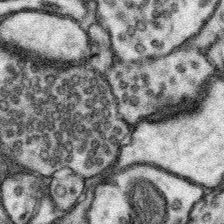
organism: Mouse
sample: Somatosensory cortex neuropil